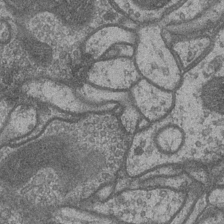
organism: Drosophila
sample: Optic medulla